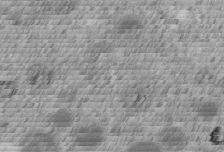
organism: C. elegans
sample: C. elegans embryo early stage